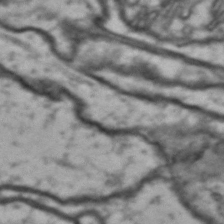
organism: Drosophila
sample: Brain